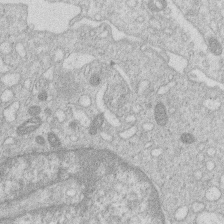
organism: Human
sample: Macrophage cells